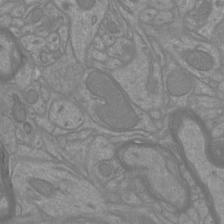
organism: Mouse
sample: Cortical neurons